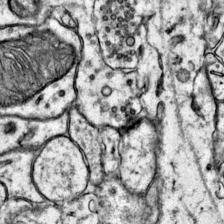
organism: Mouse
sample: Primary visual cortex